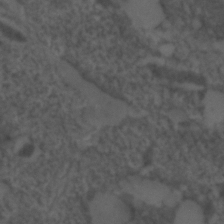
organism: C. elegans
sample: C. elegans embryo